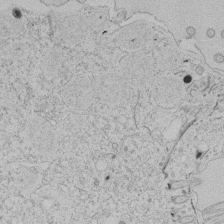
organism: Tetrahymena